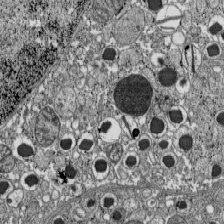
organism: C57BL Mouse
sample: Pancreatic islet